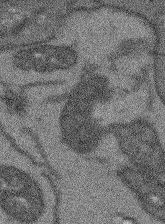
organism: Arabidopsis thaliana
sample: Root tip